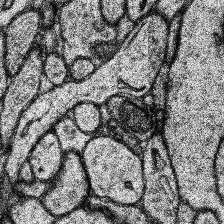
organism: Human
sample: Temporal Lobe